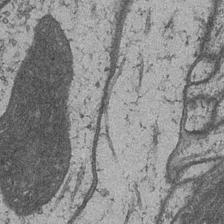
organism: Drosophila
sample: Optic medulla